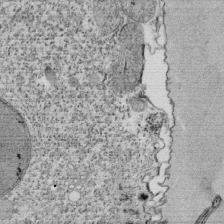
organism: Tetrahymena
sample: Cilia in tetrahymena